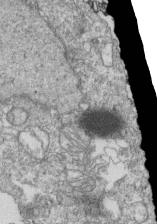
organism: Human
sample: HeLa cell HIV synapse